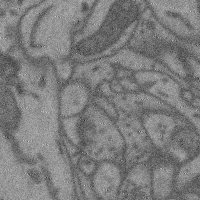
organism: Mouse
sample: Cerebral cortex